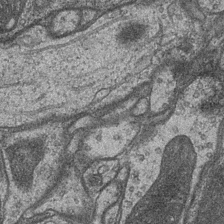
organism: Drosophila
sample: Optic medulla